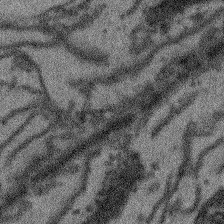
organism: Arabidopsis thaliana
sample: Root tip